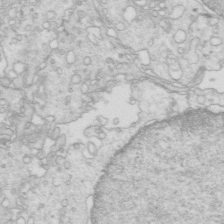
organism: Mouse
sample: Multiciliated cells